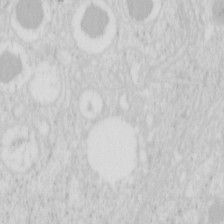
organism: Mouse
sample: Pancreas